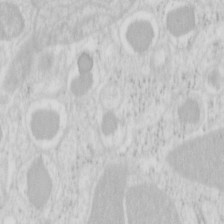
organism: Mouse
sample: Pancreas